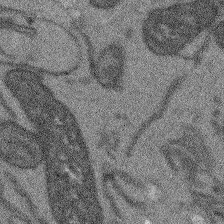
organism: Arabidopsis thaliana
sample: Root tip